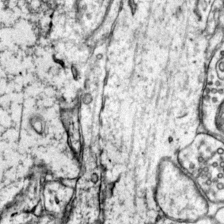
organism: Mouse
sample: Primary visual cortex